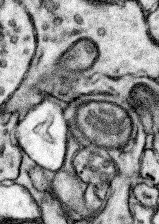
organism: Mouse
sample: Somatosensory cortex neuropil